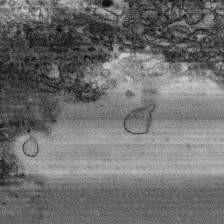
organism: Human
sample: CRL-1474